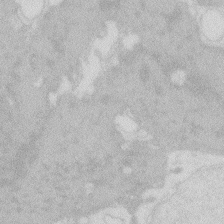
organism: Zebrafish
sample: Macrophage